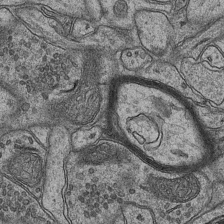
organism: Mouse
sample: CA1 Hippocampus